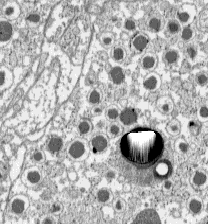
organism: C57BL Mouse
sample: Pancreatic islet